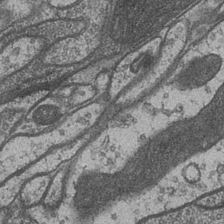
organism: Drosophila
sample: Optic medulla